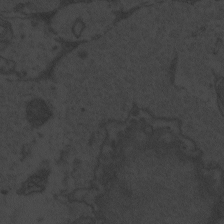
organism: Zebrafish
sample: Macrophage infected with Toxoplasma gondii